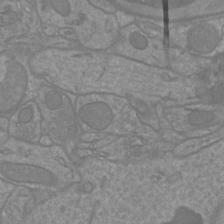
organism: Mouse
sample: Cortical neurons